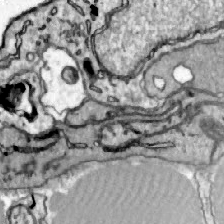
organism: Zebrafish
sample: Actinotrichia fibers